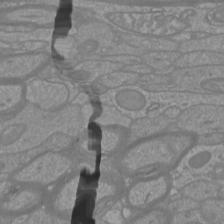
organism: Mouse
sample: Cortical neurons